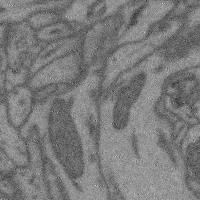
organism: Mouse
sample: Cerebral cortex